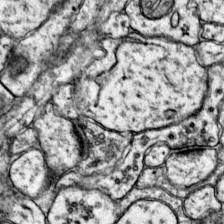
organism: Mouse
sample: Primary visual cortex